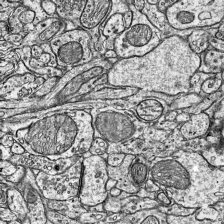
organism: Mouse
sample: Visual Cortex